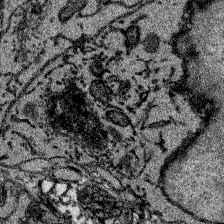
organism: Zebrafish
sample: Larval olfactory bulb